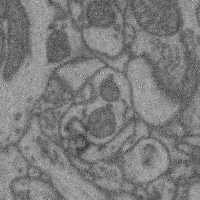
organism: Mouse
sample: Cerebral cortex